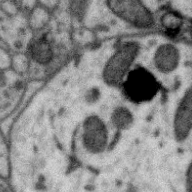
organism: Zebra finch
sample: Brain